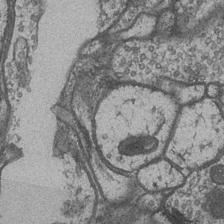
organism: Drosophila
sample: Optic medulla